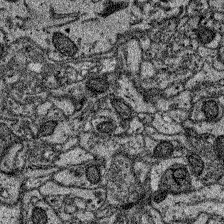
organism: Zebrafish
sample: Larval olfactory bulb